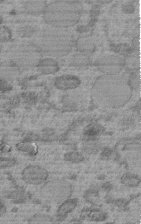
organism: C. elegans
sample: C. elegans embryo early stage